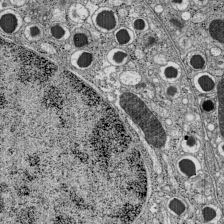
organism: C57BL Mouse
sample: Pancreatic islet